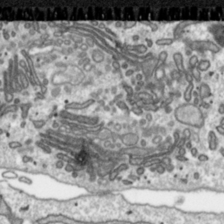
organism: Toxoplasma gondii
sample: Parasites in a vacuole inside a host cell